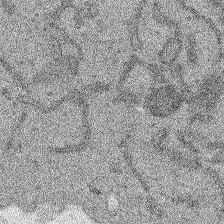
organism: Human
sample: HeLa cells